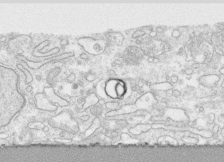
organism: Human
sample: CRL-1474